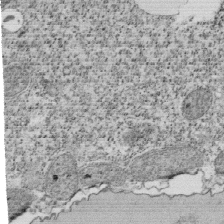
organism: Tetrahymena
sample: Cilia in tetrahymena